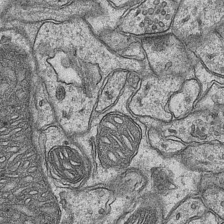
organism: Mouse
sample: CA1 Hippocampus